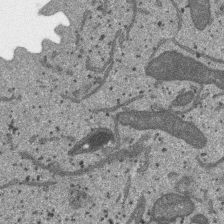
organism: Human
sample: Lung epithelial cells infected with SARS-CoV-2